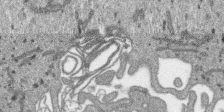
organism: Human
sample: Lung epithelial cells infected with SARS-CoV-2